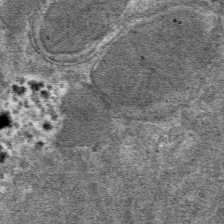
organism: Mouse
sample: Mouse hepatocytes